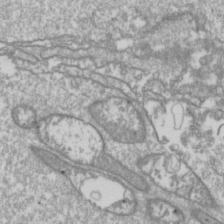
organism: Drosophila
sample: Cell division; meiosis; drosophila spermatocytes